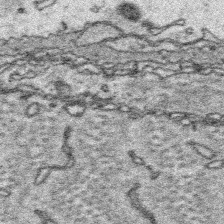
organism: Platynereis dumerilii